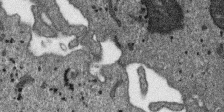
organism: Human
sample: Lung epithelial cells infected with SARS-CoV-2